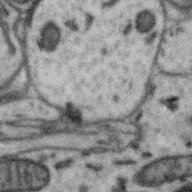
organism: Zebra finch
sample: Brain